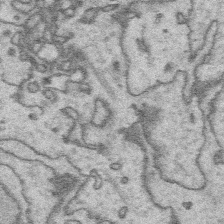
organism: Platynereis dumerilii